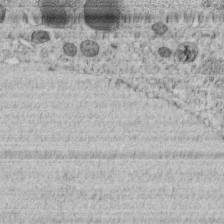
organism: C. elegans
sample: C. elegans embryo early stage